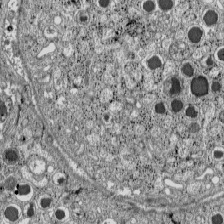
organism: C57BL Mouse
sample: Pancreatic islet